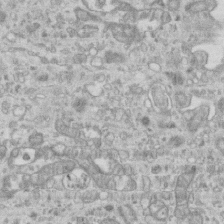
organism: Mouse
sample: Centriole in ependymal cells